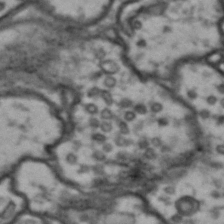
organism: Drosophila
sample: Brain